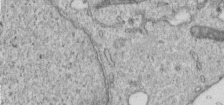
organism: Human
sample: Centriole in RPE cells